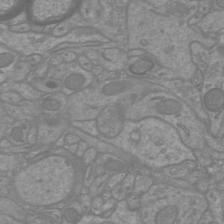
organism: Mouse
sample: Cortical neurons